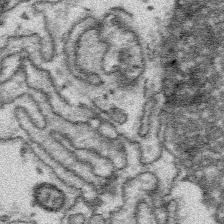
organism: Platynereis dumerilii